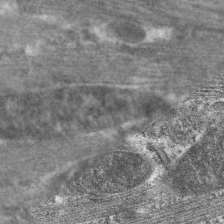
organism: C. elegans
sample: Pharynx